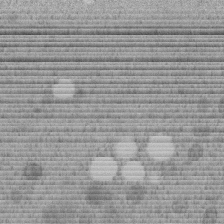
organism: C. elegans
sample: C. elegans embryo early stage